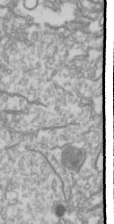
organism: Drosophila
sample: Cell division; meiosis; drosophila spermatocytes